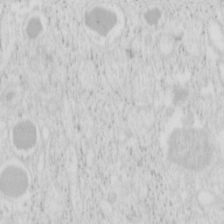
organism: Mouse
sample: Pancreas